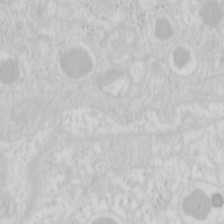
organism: Mouse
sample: Pancreas